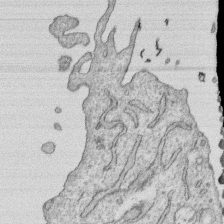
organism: Human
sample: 1205lu cells